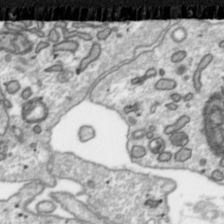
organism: Toxoplasma gondii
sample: Parasites in a vacuole inside a host cell